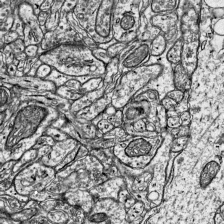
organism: Mouse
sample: Visual Cortex